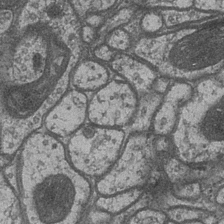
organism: Drosophila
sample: Optic medulla